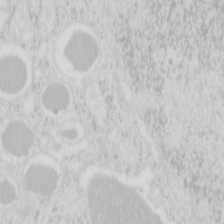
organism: Mouse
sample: Pancreas